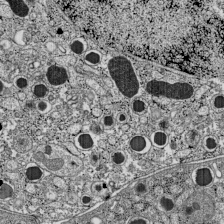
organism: C57BL Mouse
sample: Pancreatic islet